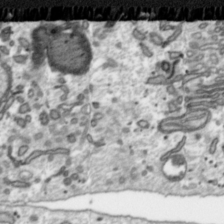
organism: Toxoplasma gondii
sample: Parasites in a vacuole inside a host cell